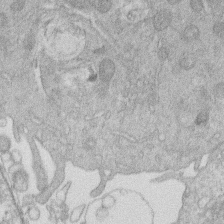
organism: Human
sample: Macrophage cells